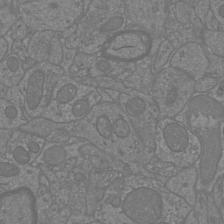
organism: Mouse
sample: Cortical neurons